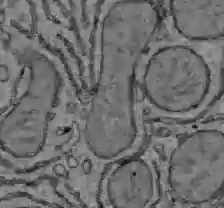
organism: C57BL Mouse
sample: Liver